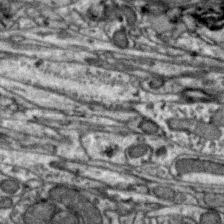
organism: Zebra finch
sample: Brain